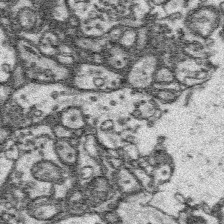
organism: Platynereis dumerilii